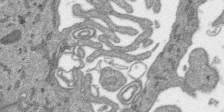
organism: Human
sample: Lung epithelial cells infected with SARS-CoV-2